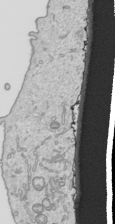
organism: Human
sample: Mitochondria in HCT116 cells